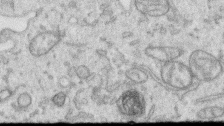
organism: Human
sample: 1205lu cells